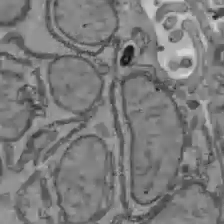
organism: C57BL Mouse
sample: Liver